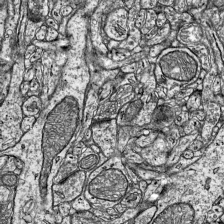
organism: Mouse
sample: Visual Cortex